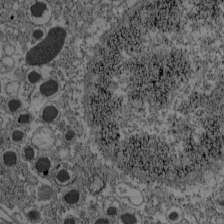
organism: C57BL Mouse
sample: Pancreatic islet